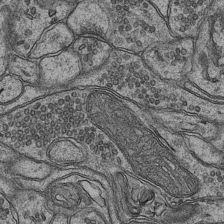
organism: Mouse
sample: CA1 Hippocampus